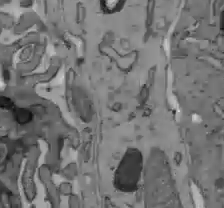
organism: C57BL Mouse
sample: Liver